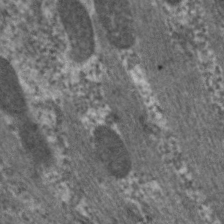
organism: C. elegans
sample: Pharynx